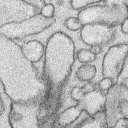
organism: Rabbit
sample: Retina